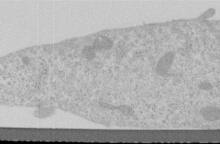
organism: Human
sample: Centriole in RPE cells